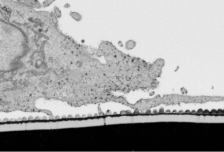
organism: Human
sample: Mitochondria in HCT116 cells